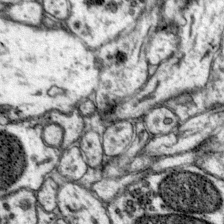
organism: Mouse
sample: Primary visual cortex